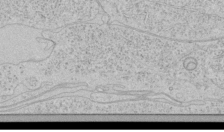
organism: Human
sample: Mitochondria in HCT116 cells